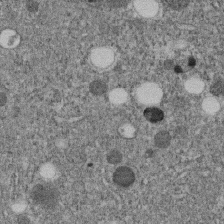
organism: C. elegans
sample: C. elegans embryo early stage